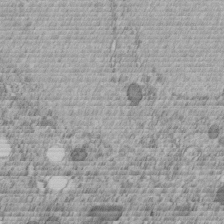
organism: C. elegans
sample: C. elegans embryo early stage